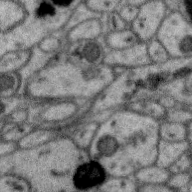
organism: Zebra finch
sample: Brain